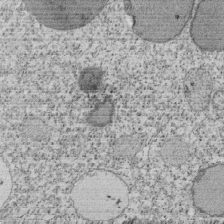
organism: Tetrahymena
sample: Cilia in tetrahymena